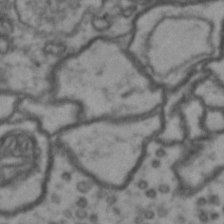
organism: Drosophila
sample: Brain